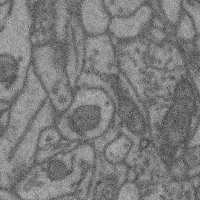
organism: Mouse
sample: Cerebral cortex